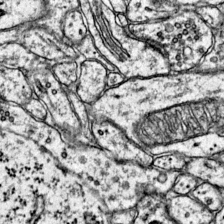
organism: Mouse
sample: Primary visual cortex